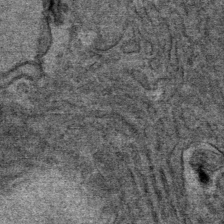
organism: Mouse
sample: Mouse Salivary gland